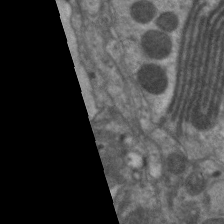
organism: C. elegans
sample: Pharynx